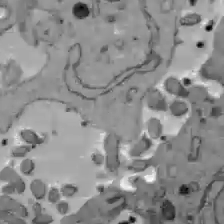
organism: C57BL Mouse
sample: Liver